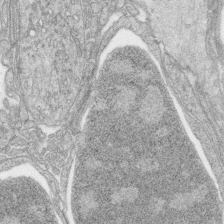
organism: Zebrafish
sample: synaptic ribbons in rod cells and cone cells